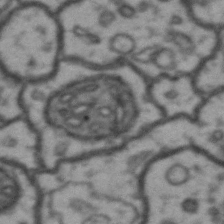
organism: Drosophila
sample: Brain